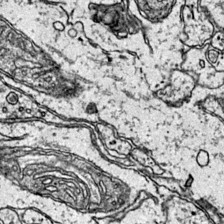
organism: Mouse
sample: Primary visual cortex